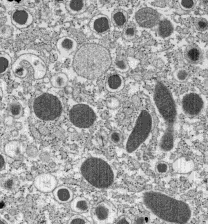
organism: C57BL Mouse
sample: Pancreatic islet